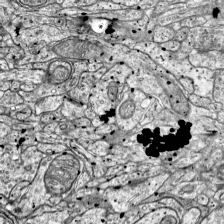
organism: Mouse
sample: Visual Cortex